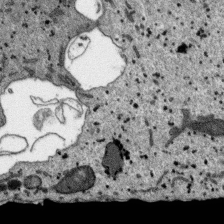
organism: Human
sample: Lung epithelial cells, uninfected (mock) control